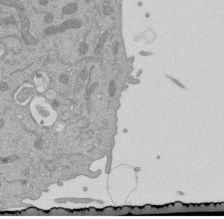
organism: Mouse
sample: ED-1 cell nuclei; centrioles